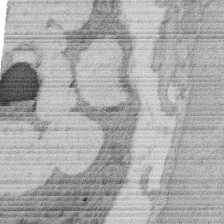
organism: Rat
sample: Salivary granule